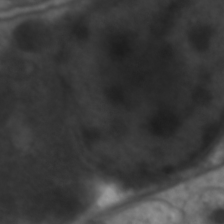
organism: C. elegans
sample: Pharynx